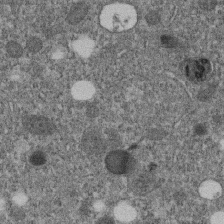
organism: C. elegans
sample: C. elegans embryo early stage